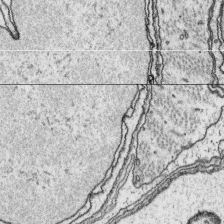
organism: Platynereis dumerilii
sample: Parapodia